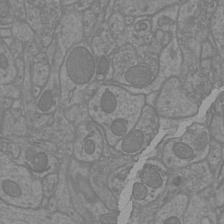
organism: Mouse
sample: Cortical neurons